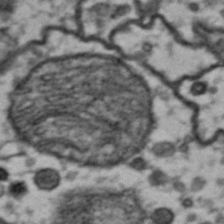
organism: Drosophila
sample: Brain